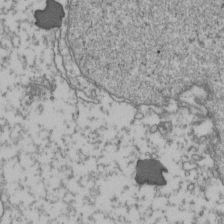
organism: Human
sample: Activated Jurkat CD4+ T cells